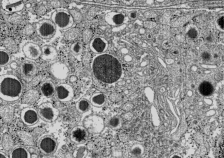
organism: C57BL Mouse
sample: Pancreatic islet